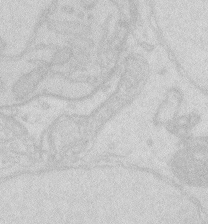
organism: Zebrafish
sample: Macrophage